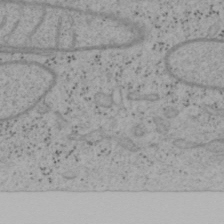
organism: Human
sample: HeLa cells